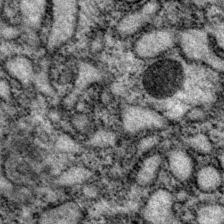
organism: P. pacificus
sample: Pharynx